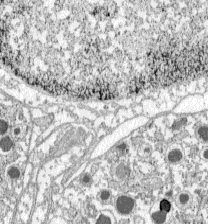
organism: C57BL Mouse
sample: Pancreatic islet